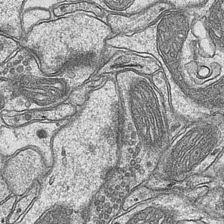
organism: Mouse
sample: CA1 Hippocampus